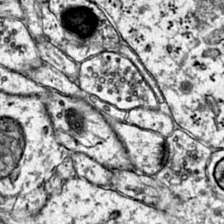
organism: Mouse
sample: Primary visual cortex